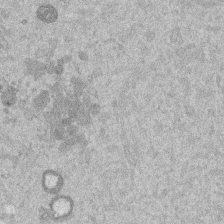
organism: Mouse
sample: Dividing mouse embryo 1 cell stage